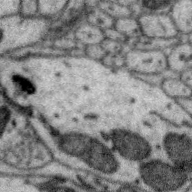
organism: Zebra finch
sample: Brain